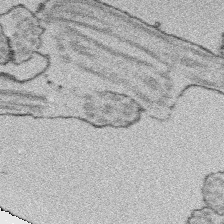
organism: Platynereis dumerilii